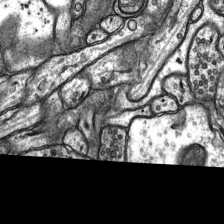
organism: Rat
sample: Hippocampus